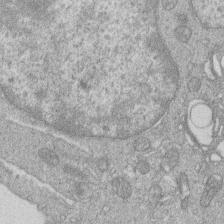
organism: Human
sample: Macrophage cells